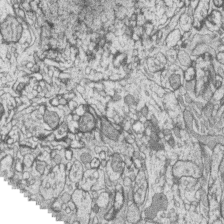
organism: Zebrafish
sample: synaptic ribbons in rod cells and cone cells